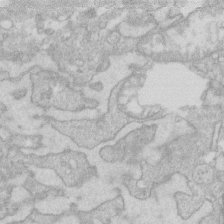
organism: Human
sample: Fibroblast cells